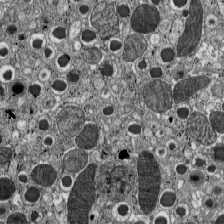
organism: C57BL Mouse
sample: Pancreatic islet